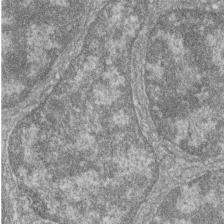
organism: Zebrafish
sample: Cilia; retinal pigment epithelium